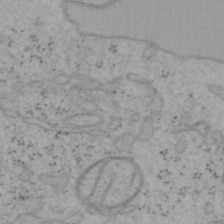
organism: Human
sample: HeLa cells